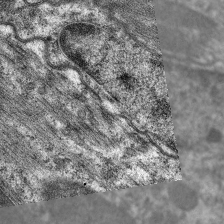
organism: C. elegans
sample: Pharynx